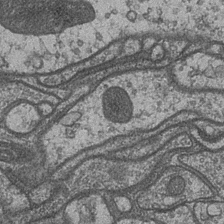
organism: Drosophila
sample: Optic medulla